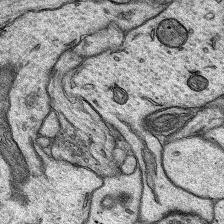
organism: Rat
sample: Hippocampus